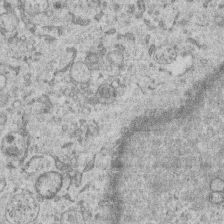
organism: Human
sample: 1205lu cells